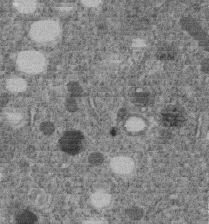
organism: C. elegans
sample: C. elegans embryo early stage